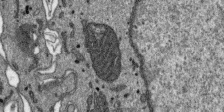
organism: Human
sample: Lung epithelial cells, uninfected (mock) control